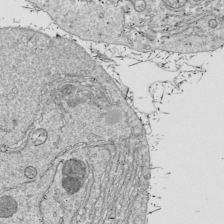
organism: Drosophila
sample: Cell division; meiosis; drosophila spermatocytes